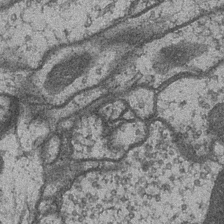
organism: Drosophila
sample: Optic medulla